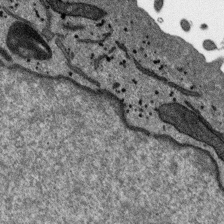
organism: Human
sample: Lung epithelial cells, uninfected (mock) control